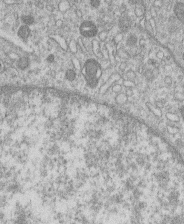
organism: Human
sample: Macrophage cells